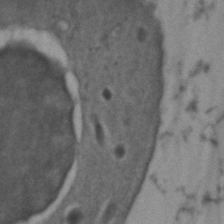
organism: Zebrafish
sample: Zebrafish embryo